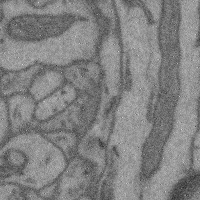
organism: Mouse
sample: Cerebral cortex